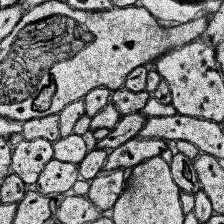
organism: Human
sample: Temporal Lobe